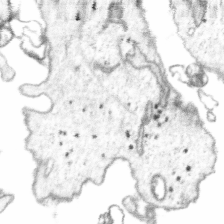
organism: Human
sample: HeLa cells